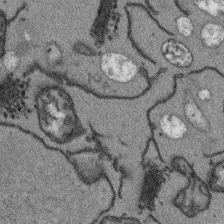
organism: Arabidopsis thaliana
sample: Root tip